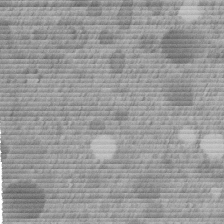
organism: C. elegans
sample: C. elegans embryo early stage